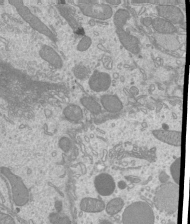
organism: Mouse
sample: Cilia; mouse epididymis